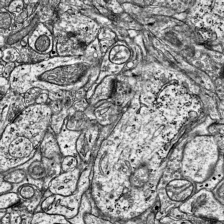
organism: Mouse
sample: Visual Cortex